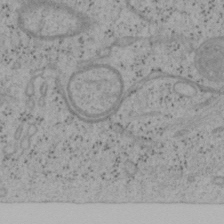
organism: Human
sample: HeLa cells